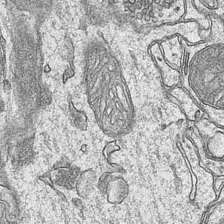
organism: Mouse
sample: CA1 Hippocampus